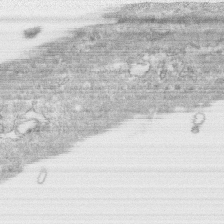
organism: Human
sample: CRL-1474